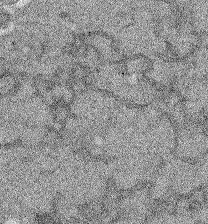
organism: Human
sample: HeLa cells